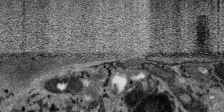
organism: Human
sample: Lung epithelial cells, uninfected (mock) control